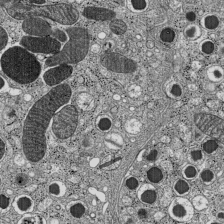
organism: C57BL Mouse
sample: Pancreatic islet